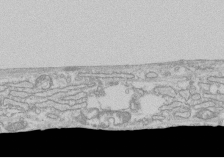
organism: Human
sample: CRL-1474